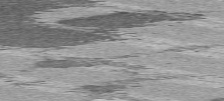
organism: C57BL Mouse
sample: Heart